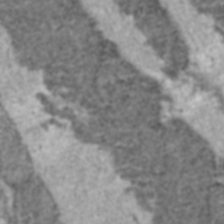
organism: C57BL Mouse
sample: Heart